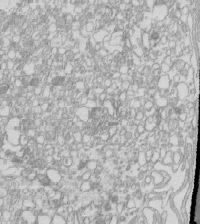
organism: Mouse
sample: Macrophages